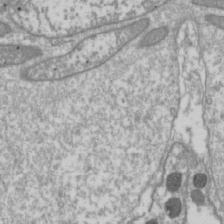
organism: Drosophila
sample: Cell division; meiosis; drosophila spermatocytes